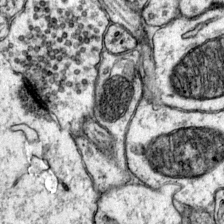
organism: Mouse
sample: Primary visual cortex